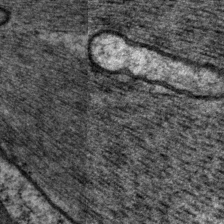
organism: P. pacificus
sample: Pharynx